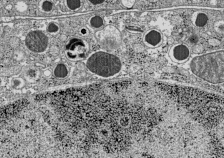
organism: C57BL Mouse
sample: Pancreatic islet